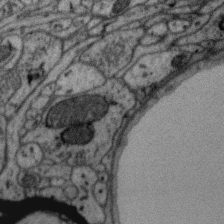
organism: Zebra finch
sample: Brain